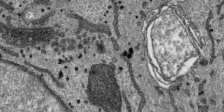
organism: Human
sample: Lung epithelial cells, uninfected (mock) control